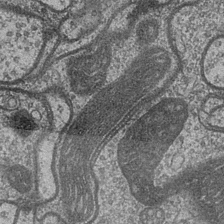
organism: Drosophila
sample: Optic medulla